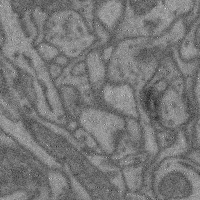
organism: Mouse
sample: Cerebral cortex